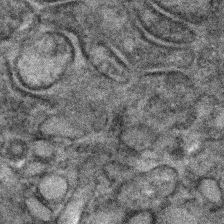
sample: Kidney